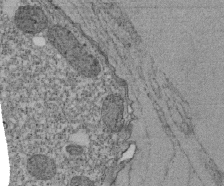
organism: Tetrahymena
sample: Cilia in tetrahymena